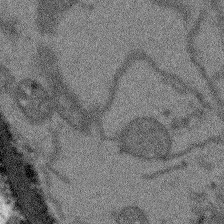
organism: Arabidopsis thaliana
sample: Root tip